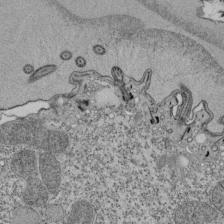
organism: Tetrahymena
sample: Cilia in tetrahymena